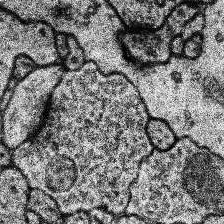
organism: Human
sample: Temporal Lobe